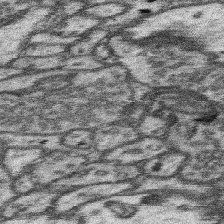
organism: Mouse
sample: Somatosensory cortex neuropil